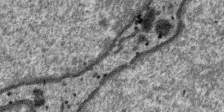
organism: Human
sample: Lung epithelial cells, uninfected (mock) control